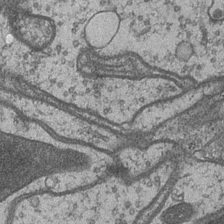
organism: Drosophila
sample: Optic medulla